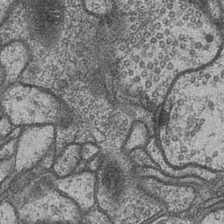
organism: Drosophila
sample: Optic medulla